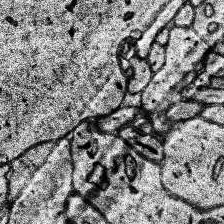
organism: Human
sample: Temporal Lobe